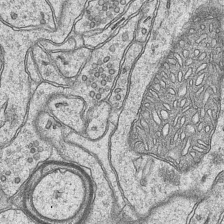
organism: Mouse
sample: CA1 Hippocampus